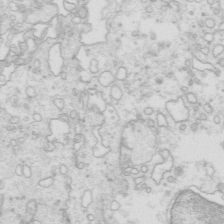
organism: Mouse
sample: Multiciliated cells